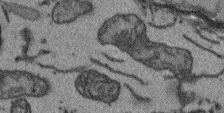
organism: Arabidopsis thaliana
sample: Root tip